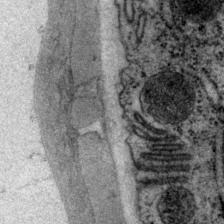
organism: P. pacificus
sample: Pharynx